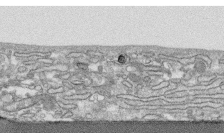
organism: Human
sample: CRL-1474